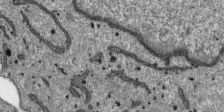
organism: Human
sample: Lung epithelial cells, uninfected (mock) control